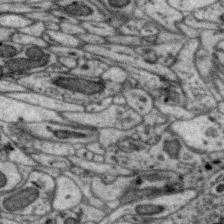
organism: Zebra finch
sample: Brain